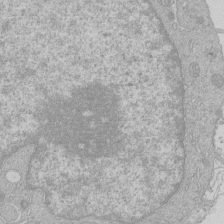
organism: Human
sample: Macrophage cells